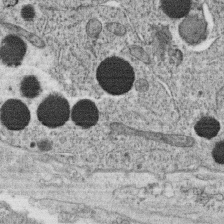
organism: C. elegans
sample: C. elegans oocyte; sperm cells